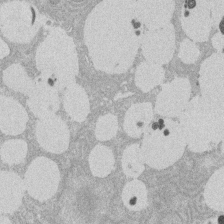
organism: Rat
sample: Salivary granule